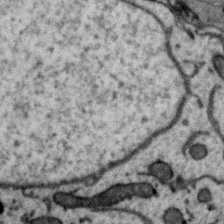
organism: Zebra finch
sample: Brain